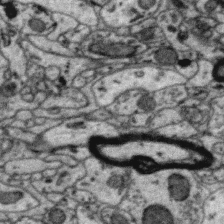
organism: Zebra finch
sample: Brain